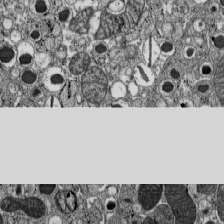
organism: C57BL Mouse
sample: Pancreatic islet